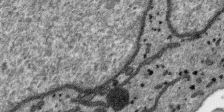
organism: Human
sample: Lung epithelial cells, uninfected (mock) control